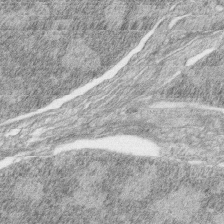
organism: Zebrafish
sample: synaptic ribbons in rod cells and cone cells